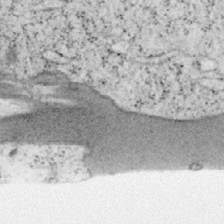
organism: Mouse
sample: OT-I killer T cells with ID8 ovarian cancer cells